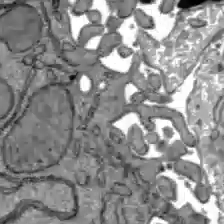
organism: C57BL Mouse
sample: Liver